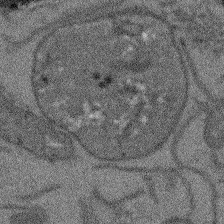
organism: Arabidopsis thaliana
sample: Root tip